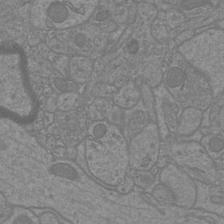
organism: Mouse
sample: Cortical neurons